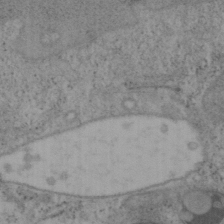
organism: Mouse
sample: OT-I killer T cells with ID8 ovarian cancer cells